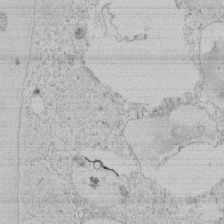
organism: Tetrahymena